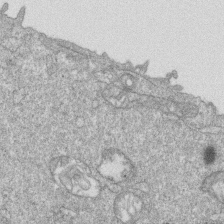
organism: Human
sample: HeLa cell HIV synapse